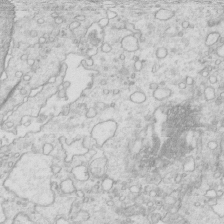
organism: Mouse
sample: Multiciliated cells